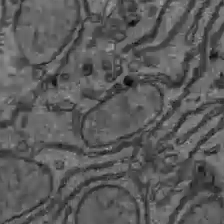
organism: C57BL Mouse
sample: Liver